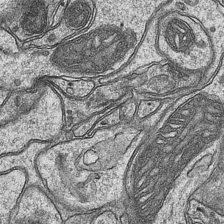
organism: Mouse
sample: CA1 Hippocampus